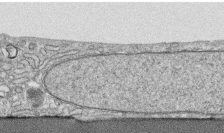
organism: Human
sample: CRL-1474